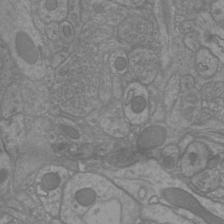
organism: Mouse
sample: Cortical neurons